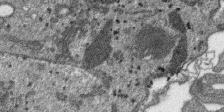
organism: Human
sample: Lung epithelial cells infected with SARS-CoV-2